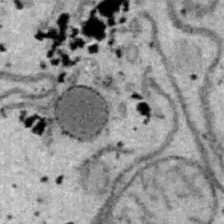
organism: Mouse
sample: Liver from an obese (ob/ob) mouse